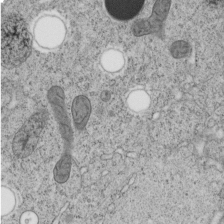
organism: C. elegans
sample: C. elegans embryo early stage